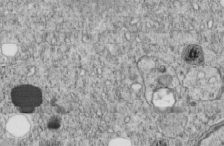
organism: C. elegans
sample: C. elegans embryo early stage